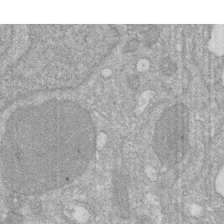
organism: Human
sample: HIV infected U937 cells